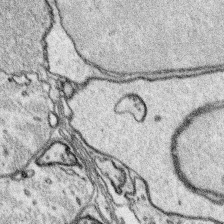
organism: Platynereis dumerilii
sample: Parapodia